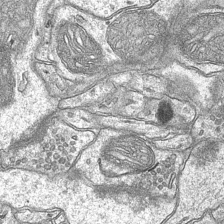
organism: Mouse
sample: CA1 Hippocampus